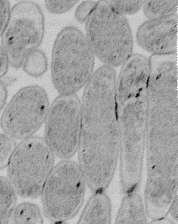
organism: E. coli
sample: Bacterial nucleoid